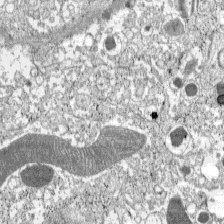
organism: C57BL Mouse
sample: Pancreatic islet